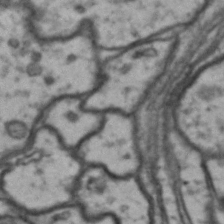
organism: Drosophila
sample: Brain